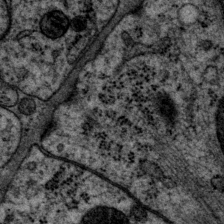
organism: P. pacificus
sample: Pharynx